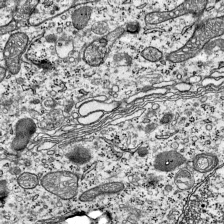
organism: Mouse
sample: Visual Cortex